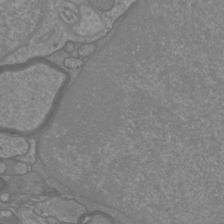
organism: Mouse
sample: Cortical neurons